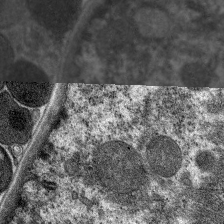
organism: C. elegans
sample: Pharynx